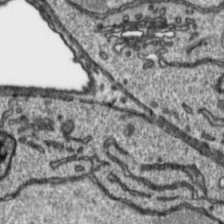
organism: Toxoplasma gondii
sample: Parasites in a vacuole inside a host cell